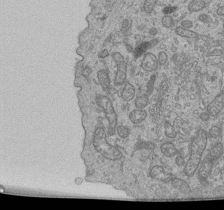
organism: Human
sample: Retinal organoid Rod and Cone cells